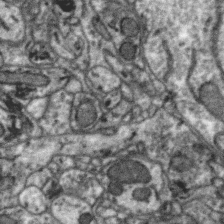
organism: Zebra finch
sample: Brain